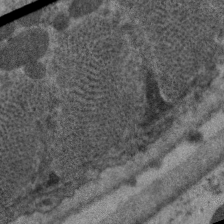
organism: C. elegans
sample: Pharynx